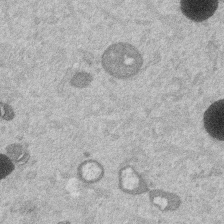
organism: Mouse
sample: Dividing mouse embryo 1 cell stage